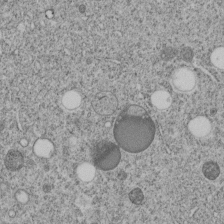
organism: C. elegans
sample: C. elegans embryo early stage